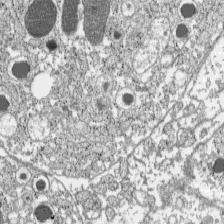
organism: C57BL Mouse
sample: Pancreatic islet